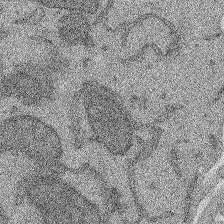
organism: Human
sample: HeLa cells